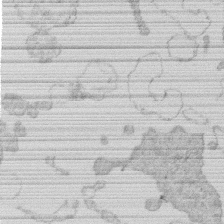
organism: Human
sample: Macrophage cells